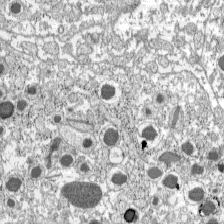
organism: C57BL Mouse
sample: Pancreatic islet